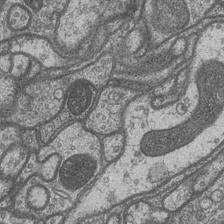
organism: Drosophila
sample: Optic medulla